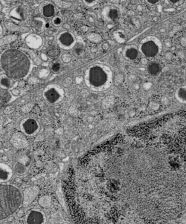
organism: C57BL Mouse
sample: Pancreatic islet